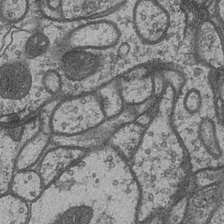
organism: Drosophila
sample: Optic medulla